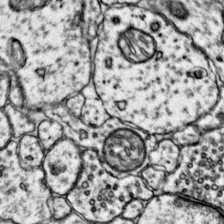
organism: Mouse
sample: Primary visual cortex